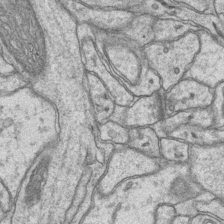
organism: Mouse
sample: CA1 Hippocampus